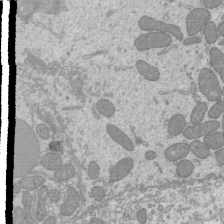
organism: Mouse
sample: Cilia; mouse epididymis